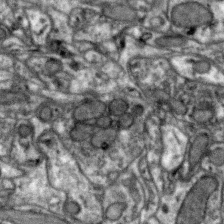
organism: Zebra finch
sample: Brain